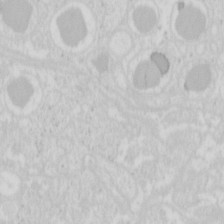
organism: Mouse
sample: Pancreas